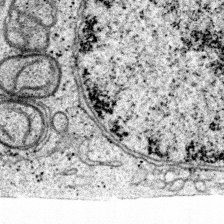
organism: Human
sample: HeLa cells